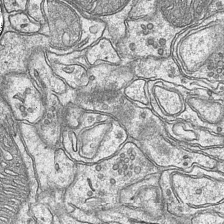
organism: Mouse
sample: CA1 Hippocampus